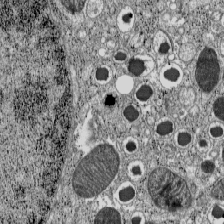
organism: C57BL Mouse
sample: Pancreatic islet